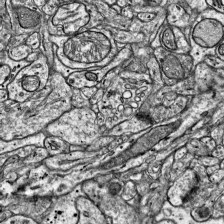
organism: Mouse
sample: Visual Cortex